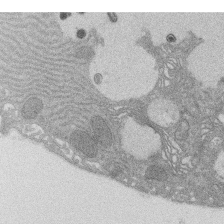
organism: Rat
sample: Salivary granule